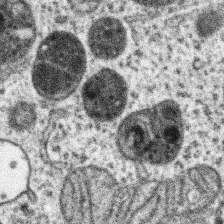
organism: Human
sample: HeLa cells